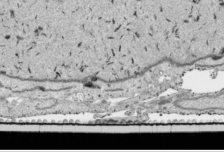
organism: Human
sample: Mitochondria in HCT116 cells